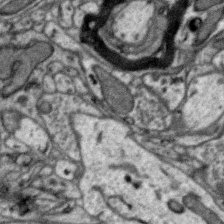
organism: Zebra finch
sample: Brain